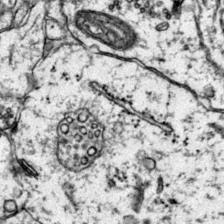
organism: Mouse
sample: Primary visual cortex